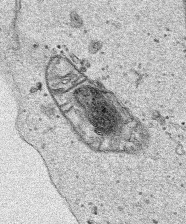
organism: Human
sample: Mitochondria in HCT116 cells